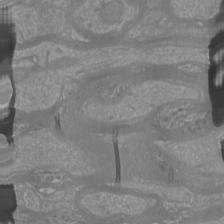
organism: Mouse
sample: Cortical neurons